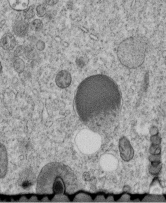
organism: C. elegans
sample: C. elegans embryo early stage